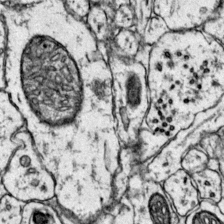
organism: Mouse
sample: Primary visual cortex